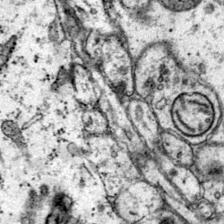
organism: Mouse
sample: Primary visual cortex